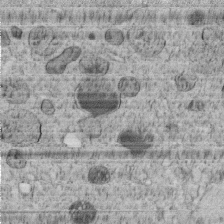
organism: C. elegans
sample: C. elegans embryo early stage